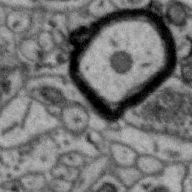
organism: Zebra finch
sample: Brain